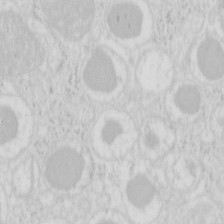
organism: Mouse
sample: Pancreas